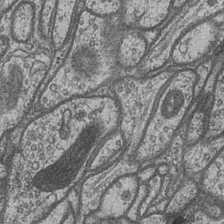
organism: Drosophila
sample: Optic medulla